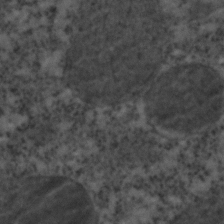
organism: C. elegans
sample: C. elegans embryo